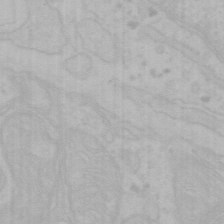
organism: Mouse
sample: Choroid plexus